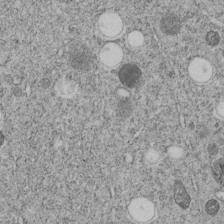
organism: C. elegans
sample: C. elegans embryo early stage